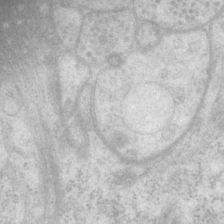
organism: P. pacificus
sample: Pharynx